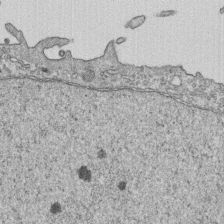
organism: Human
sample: HeLa cell HIV synapse